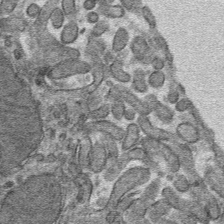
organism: Mouse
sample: Mouse hepatocytes